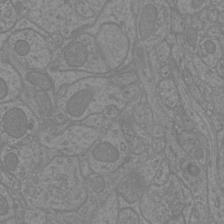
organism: Mouse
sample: Cortical neurons